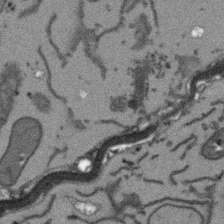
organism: Arabidopsis thaliana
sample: Root tip